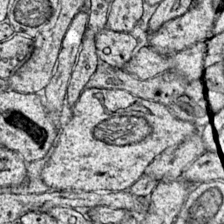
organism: Mouse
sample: Primary visual cortex